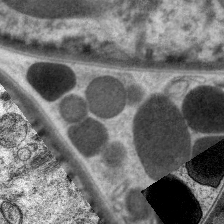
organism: C. elegans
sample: Pharynx